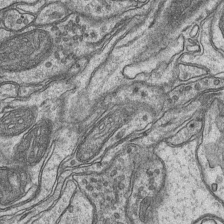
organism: Mouse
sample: CA1 Hippocampus